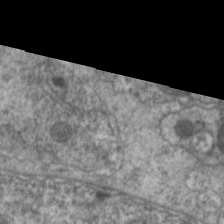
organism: C. elegans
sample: Pharynx